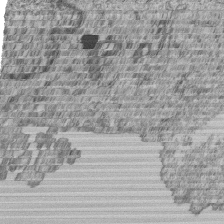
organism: Human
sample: MDA-MB-231 cells